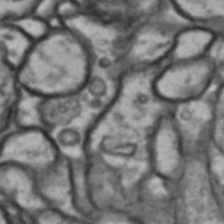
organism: Drosophila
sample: Brain